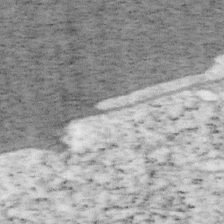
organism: Mouse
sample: OT-I killer T cells with ID8 ovarian cancer cells